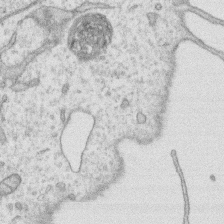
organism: Human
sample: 1205lu cells